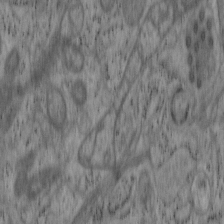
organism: Human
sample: HeLa cells